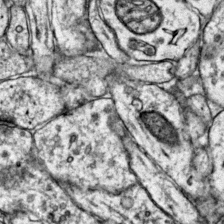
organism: Mouse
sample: Primary visual cortex